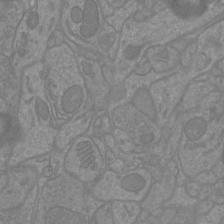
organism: Mouse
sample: Cortical neurons